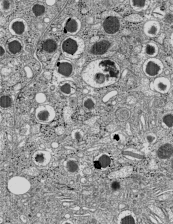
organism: C57BL Mouse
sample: Pancreatic islet